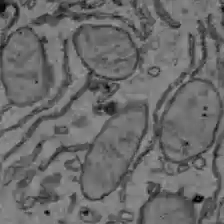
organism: C57BL Mouse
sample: Liver